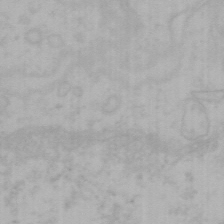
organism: Mouse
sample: Choroid plexus